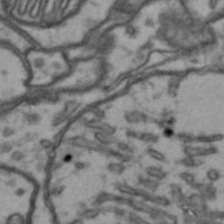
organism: Drosophila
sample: Brain